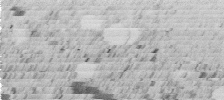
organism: C. elegans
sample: C. elegans embryo early stage